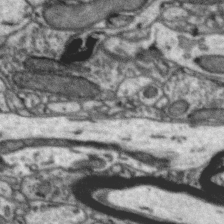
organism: Zebra finch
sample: Brain